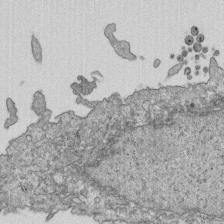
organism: Human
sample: HeLa cell HIV synapse